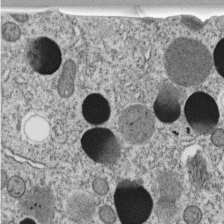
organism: C. elegans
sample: C. elegans embryo early stage